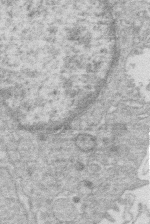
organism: Human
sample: Macrophage cells